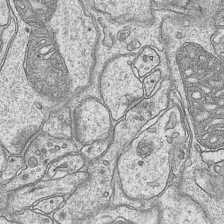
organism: Mouse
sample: CA1 Hippocampus